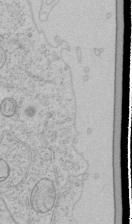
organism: Human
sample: Mitochondria in HCT116 cells